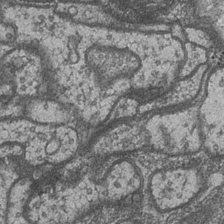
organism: Drosophila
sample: Optic medulla